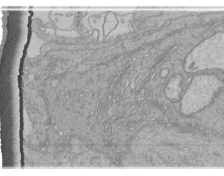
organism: Human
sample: Retinal organoid Rod and Cone cells